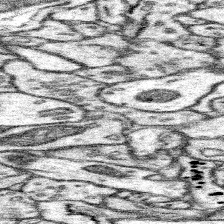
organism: Mouse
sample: Somatosensory cortex neuropil